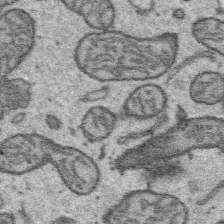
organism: Platynereis dumerilii